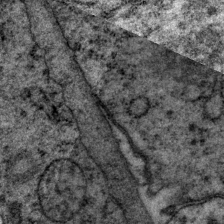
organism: P. pacificus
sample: Pharynx